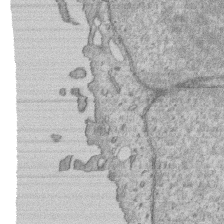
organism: Human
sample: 1205lu cells